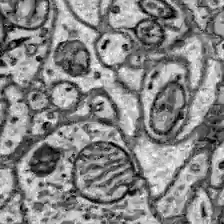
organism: Zebrafish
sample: Brain